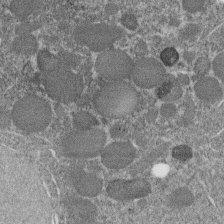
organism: C. elegans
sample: C. elegans embryo early stage